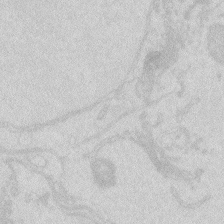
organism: Zebrafish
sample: Macrophage